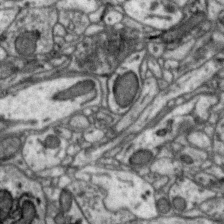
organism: Zebra finch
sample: Brain